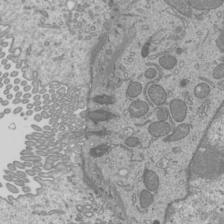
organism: Mouse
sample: Cilia; mouse epididymis